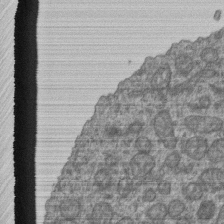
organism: Human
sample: Retinal organoid Rod and Cone cells